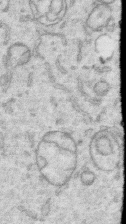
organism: Human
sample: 1205lu cells